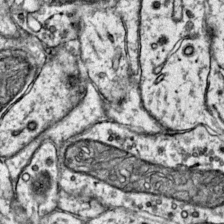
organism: Mouse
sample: Primary visual cortex